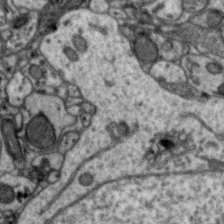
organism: Zebra finch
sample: Brain